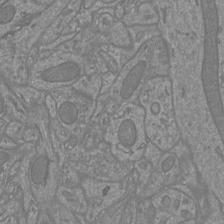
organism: Mouse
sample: Cortical neurons